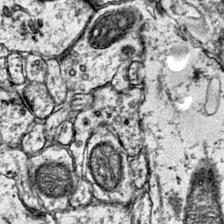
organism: Mouse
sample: Primary visual cortex